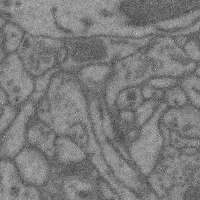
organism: Mouse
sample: Cerebral cortex